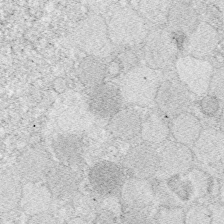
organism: Zebrafish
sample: Whole-Brain